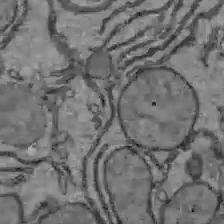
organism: C57BL Mouse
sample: Liver